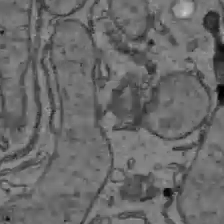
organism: C57BL Mouse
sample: Liver